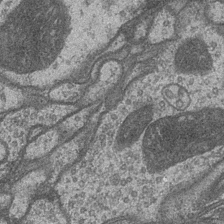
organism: Drosophila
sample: Optic medulla